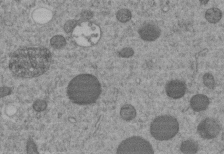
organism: C. elegans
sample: C. elegans embryo early stage